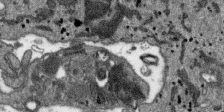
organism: Human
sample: Lung epithelial cells, uninfected (mock) control